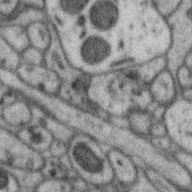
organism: Zebra finch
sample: Brain